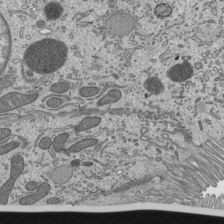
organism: Mouse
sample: Mouse epididymis efferent ductule cilia